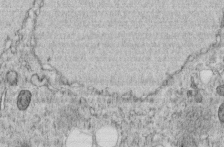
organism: C. elegans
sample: C. elegans embryo early stage